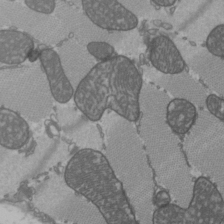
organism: C57BL Mouse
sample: Heart